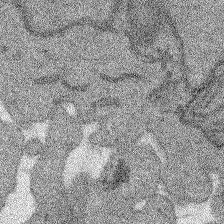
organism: Human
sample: HeLa cells